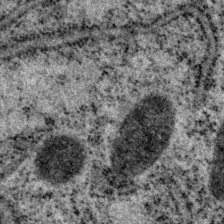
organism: P. pacificus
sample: Pharynx